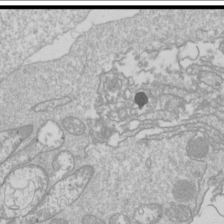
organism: Drosophila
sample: Cell division; meiosis; drosophila spermatocytes